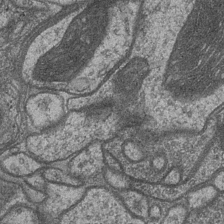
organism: Drosophila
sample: Optic medulla